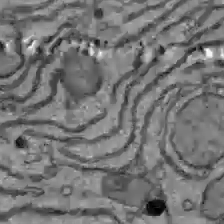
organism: C57BL Mouse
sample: Liver